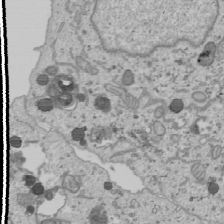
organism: Human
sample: Mitochondria in U2OS cells